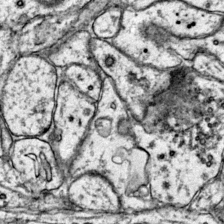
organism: Mouse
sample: Primary visual cortex